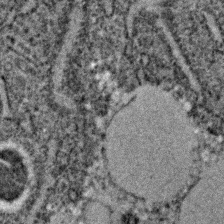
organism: C. elegans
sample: C. elegans embryo